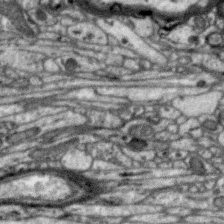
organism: Zebra finch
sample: Brain